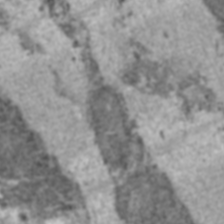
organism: C57BL Mouse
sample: Heart